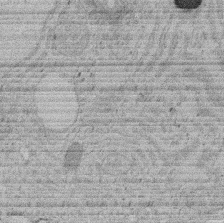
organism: Rat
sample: Salivary granule